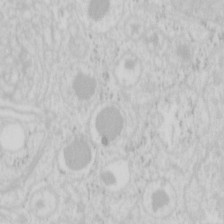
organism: Mouse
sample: Pancreas